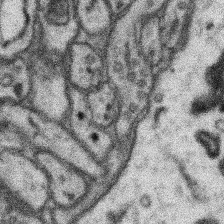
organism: Mouse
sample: Somatosensory cortex neuropil